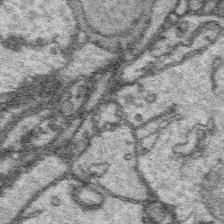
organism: Platynereis dumerilii